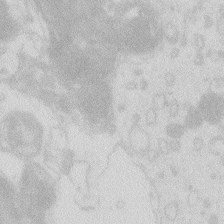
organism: Zebrafish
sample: Macrophage